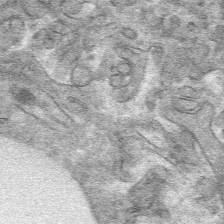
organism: Mouse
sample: Mouse hepatocytes